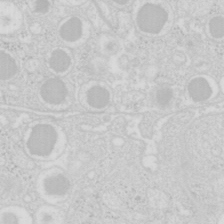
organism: Mouse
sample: Pancreas